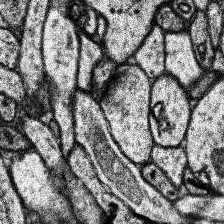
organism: Human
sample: Temporal Lobe